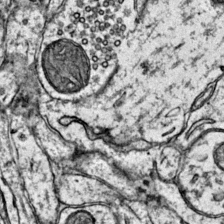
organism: Mouse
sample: Primary visual cortex